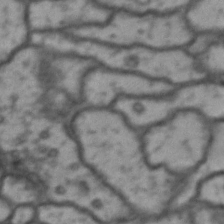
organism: Drosophila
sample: Brain